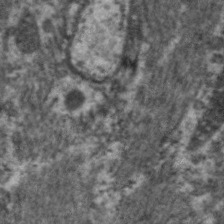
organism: C. elegans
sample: Pharynx